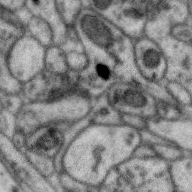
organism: Zebra finch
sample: Brain